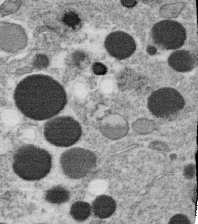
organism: C. elegans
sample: C. elegans oocyte; sperm cells